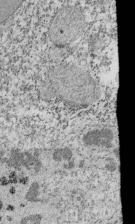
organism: Tetrahymena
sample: Cilia in tetrahymena